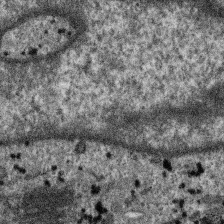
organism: Human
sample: Lung epithelial cells infected with SARS-CoV-2